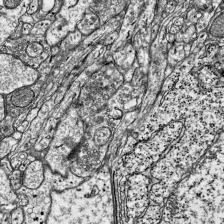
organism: Mouse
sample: Visual Cortex